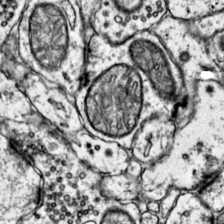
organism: Mouse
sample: Primary visual cortex